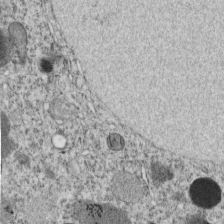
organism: C. elegans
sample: C. elegans embryo early stage